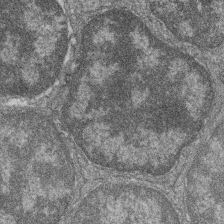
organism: Zebrafish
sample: Cilia; retinal pigment epithelium